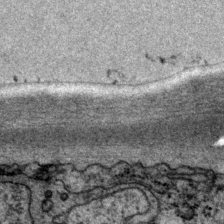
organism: P. pacificus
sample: Pharynx